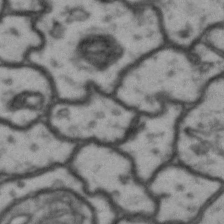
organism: Drosophila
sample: Brain